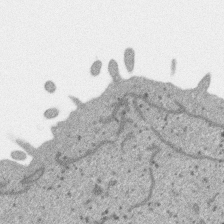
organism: Human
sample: Lung epithelial cells infected with SARS-CoV-2